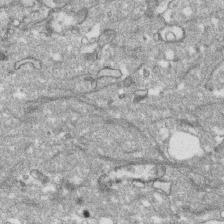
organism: Human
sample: CRL-1474